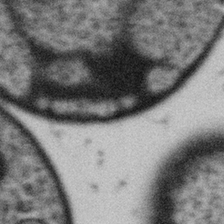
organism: Gemmata obscuriglobus